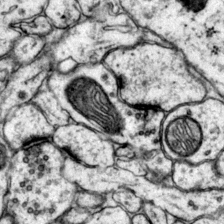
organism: Mouse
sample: Primary visual cortex